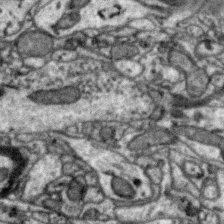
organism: Zebra finch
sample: Brain